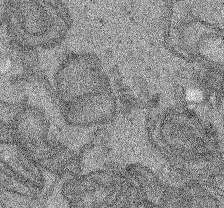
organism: Human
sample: HeLa cells